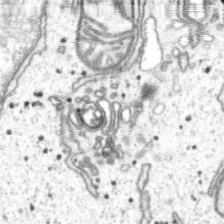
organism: Human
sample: HeLa cells